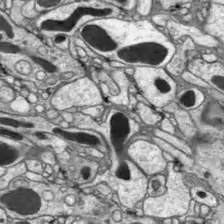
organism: Drosophila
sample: Optic lobe